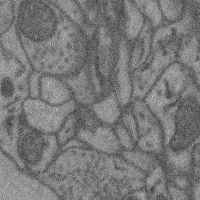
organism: Mouse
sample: Cerebral cortex